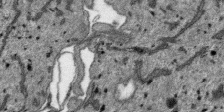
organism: Human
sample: Lung epithelial cells, uninfected (mock) control